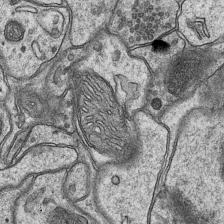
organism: Mouse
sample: CA1 Hippocampus